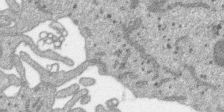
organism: Human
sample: Lung epithelial cells infected with SARS-CoV-2